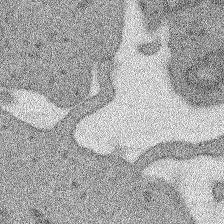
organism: Human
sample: HeLa cells